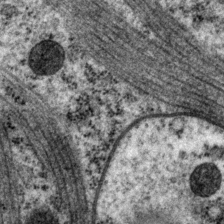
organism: P. pacificus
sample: Pharynx